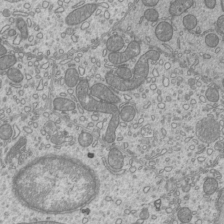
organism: Mouse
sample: Cilia; mouse epididymis